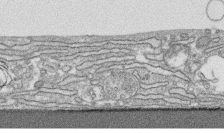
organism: Human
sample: CRL-1474